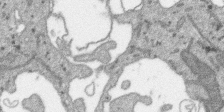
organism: Human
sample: Lung epithelial cells infected with SARS-CoV-2